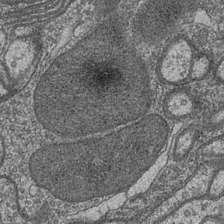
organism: Drosophila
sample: Optic medulla